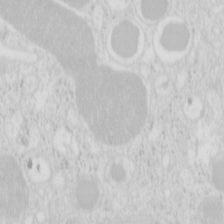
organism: Mouse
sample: Pancreas